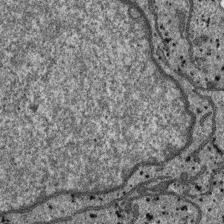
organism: Human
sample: Lung epithelial cells infected with SARS-CoV-2